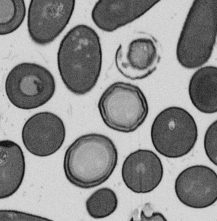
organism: B. subtilis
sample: Bacterial spore